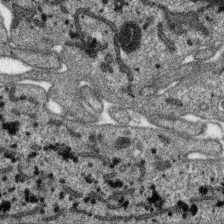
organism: Human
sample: Lung epithelial cells infected with SARS-CoV-2